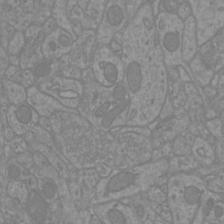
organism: Mouse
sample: Cortical neurons